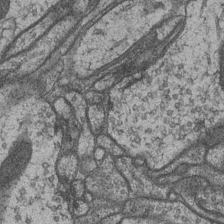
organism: Drosophila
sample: Optic medulla